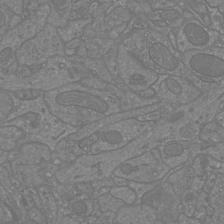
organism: Mouse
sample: Cortical neurons